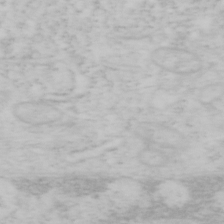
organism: Mouse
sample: OT-I killer T cells with ID8 ovarian cancer cells